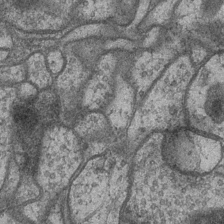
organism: Drosophila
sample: Optic medulla